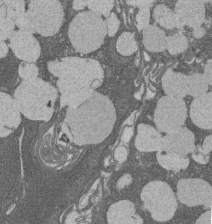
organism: Rat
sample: Salivary granule